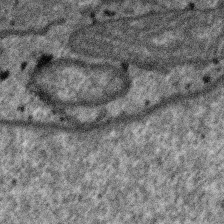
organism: Human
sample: Lung epithelial cells infected with SARS-CoV-2